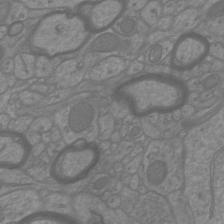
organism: Mouse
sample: Cortical neurons